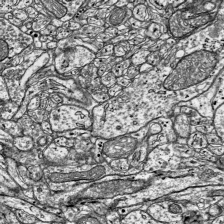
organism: Mouse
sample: Visual Cortex